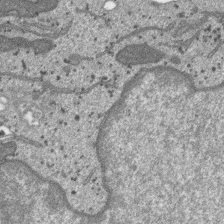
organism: Human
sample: Lung epithelial cells infected with SARS-CoV-2